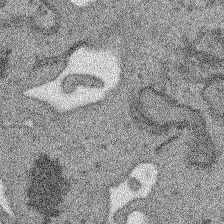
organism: Human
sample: HeLa cells